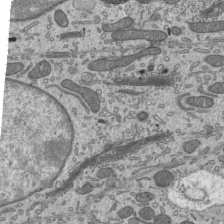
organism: Mouse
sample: Mouse epididymis efferent ductule cilia